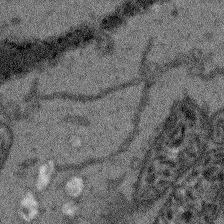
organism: Arabidopsis thaliana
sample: Root tip